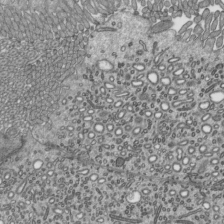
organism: Mouse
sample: Mouse epididymis efferent ductule cilia